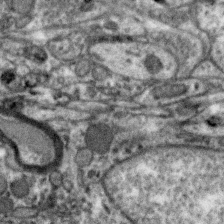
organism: Zebra finch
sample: Brain